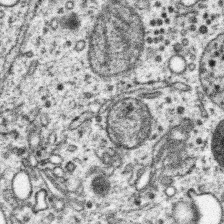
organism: Human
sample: HeLa cells